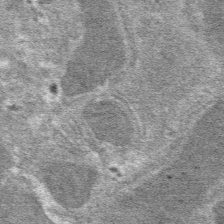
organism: Mouse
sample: Mouse hepatocytes